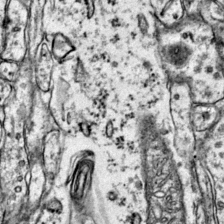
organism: Mouse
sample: Primary visual cortex